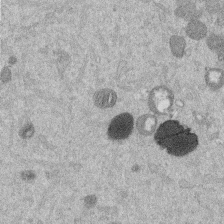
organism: Mouse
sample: Dividing mouse embryo 1 cell stage